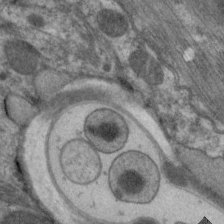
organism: C. elegans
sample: Pharynx